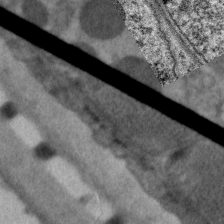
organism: C. elegans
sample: Pharynx